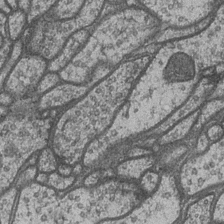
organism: Drosophila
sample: Optic medulla